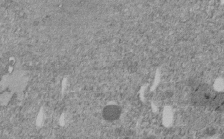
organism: C. elegans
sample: C. elegans embryo early stage